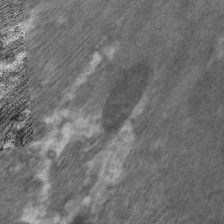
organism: C. elegans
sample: Pharynx